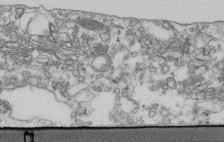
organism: Human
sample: Centriole in fibroblast cells